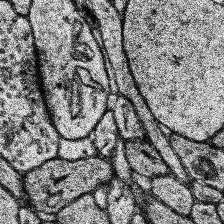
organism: Human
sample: Temporal Lobe